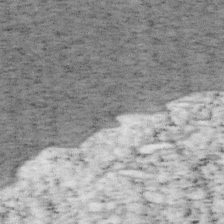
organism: Mouse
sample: OT-I killer T cells with ID8 ovarian cancer cells